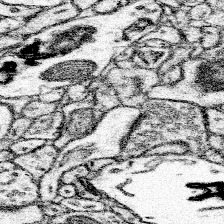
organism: Mouse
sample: Somatosensory cortex neuropil